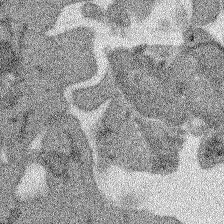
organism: Human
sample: HeLa cells